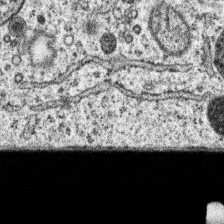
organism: Human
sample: HeLa cells